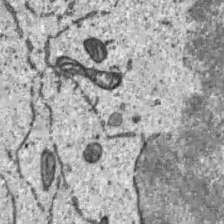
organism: Human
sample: HeLa cells